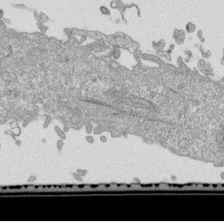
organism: Human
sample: HeLa cell HIV synapse